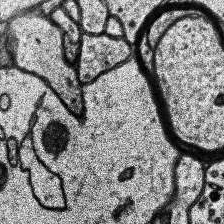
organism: Human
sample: Temporal Lobe